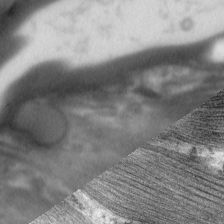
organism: C. elegans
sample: Pharynx